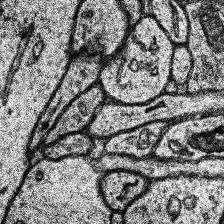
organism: Human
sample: Temporal Lobe